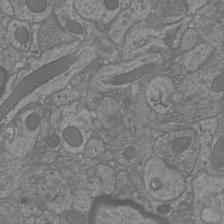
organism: Mouse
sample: Cortical neurons